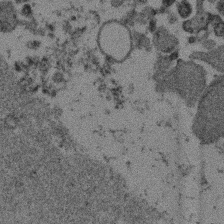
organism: Mouse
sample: Dividing mouse embryo 1 cell stage